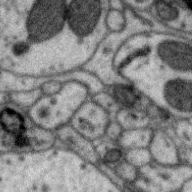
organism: Zebra finch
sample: Brain